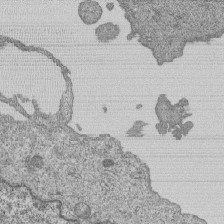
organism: Human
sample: MDA-MB-231 cells